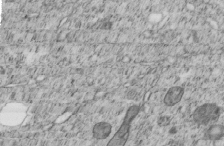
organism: C. elegans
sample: C. elegans embryo early stage